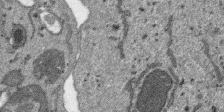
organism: Human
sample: Lung epithelial cells infected with SARS-CoV-2